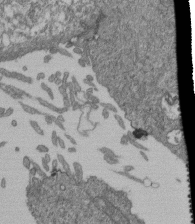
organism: Human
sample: Retinal organoid Rod and Cone cells